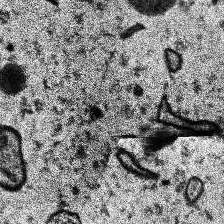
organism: Human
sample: Temporal Lobe